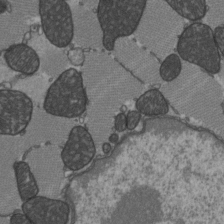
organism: C57BL Mouse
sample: Heart